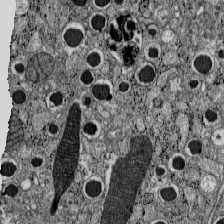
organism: C57BL Mouse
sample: Pancreatic islet